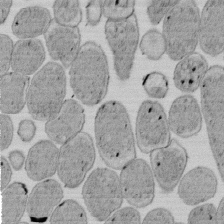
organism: E. coli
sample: Bacterial nucleoid